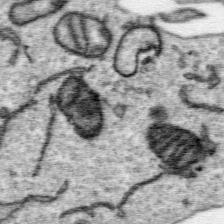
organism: Human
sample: HeLa cells